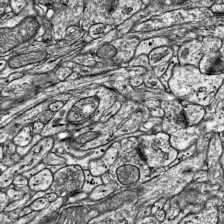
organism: Mouse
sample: Visual Cortex